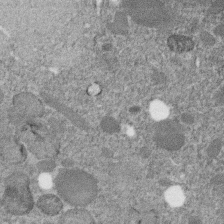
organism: C. elegans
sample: C. elegans embryo early stage